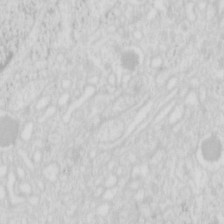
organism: Mouse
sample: Pancreas